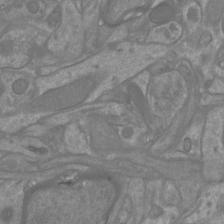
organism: Mouse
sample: Cortical neurons